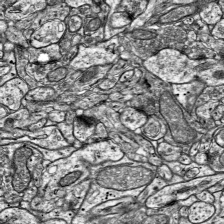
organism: Mouse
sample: Visual Cortex